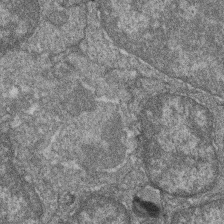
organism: Zebrafish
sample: Cilia; retinal pigment epithelium